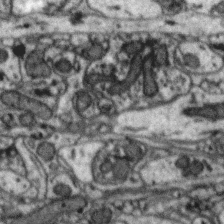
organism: Zebra finch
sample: Brain